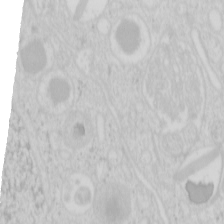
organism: Mouse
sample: Pancreas